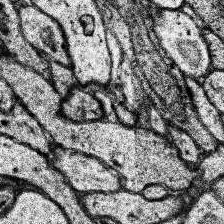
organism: Human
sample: Temporal Lobe